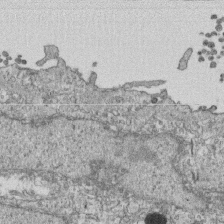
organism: Human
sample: HeLa cell HIV synapse